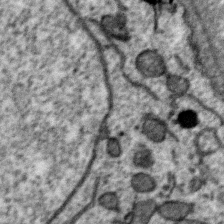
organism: Zebra finch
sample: Brain